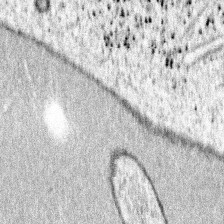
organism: Human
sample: HeLa cells